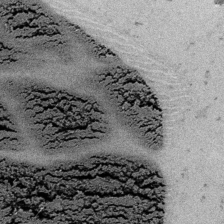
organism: Embia sp.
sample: Silk gland